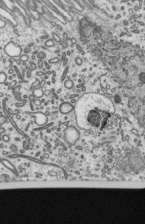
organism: Mouse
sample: Mouse epididymis efferent ductule cilia